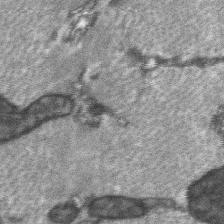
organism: C57BL Mouse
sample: Soleus